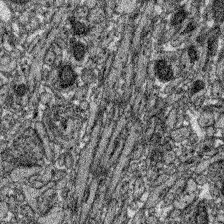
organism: Zebrafish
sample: Larval olfactory bulb